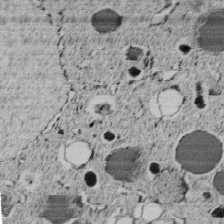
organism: C. elegans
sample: C. elegans embryo early stage